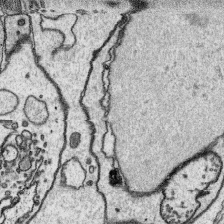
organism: Platynereis dumerilii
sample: Parapodia